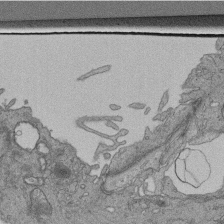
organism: Human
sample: Retinal organoid Rod and Cone cells